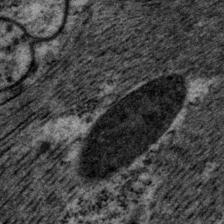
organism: P. pacificus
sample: Pharynx